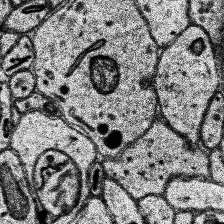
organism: Human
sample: Temporal Lobe